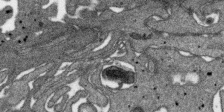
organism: Human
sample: Lung epithelial cells, uninfected (mock) control